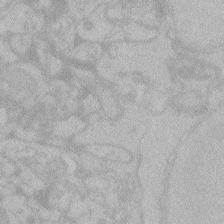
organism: Zebrafish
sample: Macrophage infected with Toxoplasma gondii